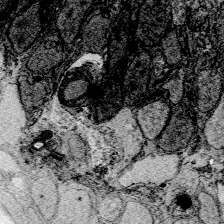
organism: Zebrafish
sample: Whole-Brain